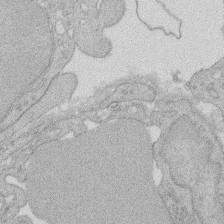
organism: Rat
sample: Salivary granule